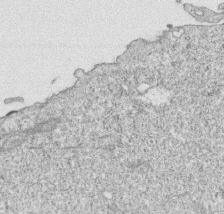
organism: Human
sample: HeLa cell HIV synapse